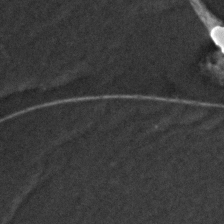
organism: Zebrafish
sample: Zebrafish embryo